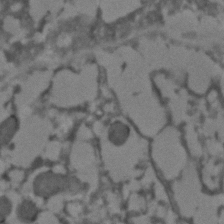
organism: C. elegans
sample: C. elegans embryo